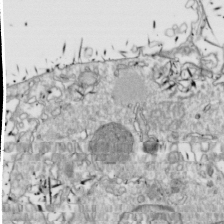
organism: Drosophila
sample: Cell division; meiosis; drosophila spermatocytes